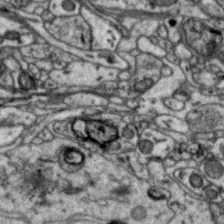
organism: Zebra finch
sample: Brain